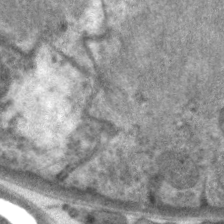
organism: C. elegans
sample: Pharynx